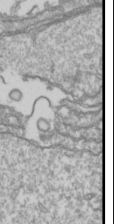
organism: Drosophila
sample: Cell division; meiosis; drosophila spermatocytes